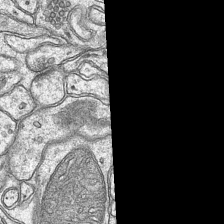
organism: Mouse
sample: CA1 Hippocampus